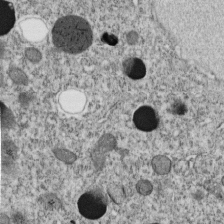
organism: C. elegans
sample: C. elegans embryo early stage